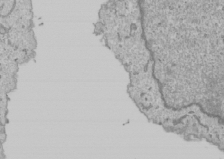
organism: Human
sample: Mitochondria in U2OS cells